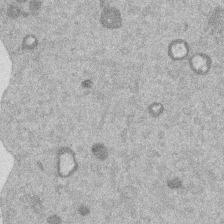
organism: Mouse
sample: Dividing mouse embryo 1 cell stage